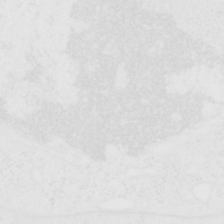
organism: Human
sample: T Cells (Jurkat E6.1)